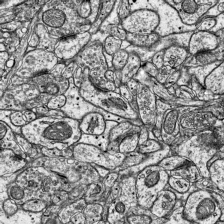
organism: Mouse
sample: Visual Cortex